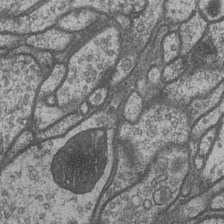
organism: Drosophila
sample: Optic medulla